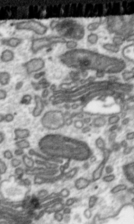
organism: Toxoplasma gondii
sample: Parasites in a vacuole inside a host cell